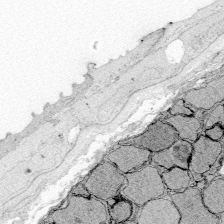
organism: Zebrafish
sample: Whole-Brain